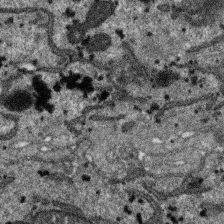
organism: Human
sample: Lung epithelial cells infected with SARS-CoV-2